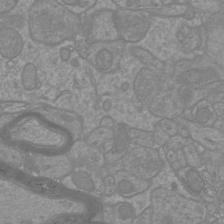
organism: Mouse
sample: Cortical neurons